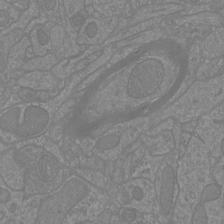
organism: Mouse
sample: Cortical neurons